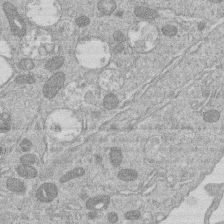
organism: Human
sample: Macrophage cells